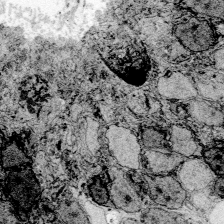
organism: Zebrafish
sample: Whole-Brain